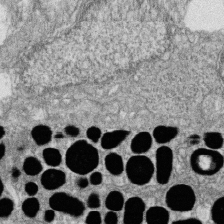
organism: Zebrafish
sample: Cilia; retinal pigment epithelium